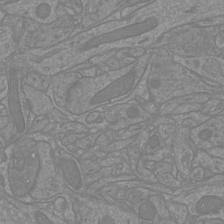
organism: Mouse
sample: Cortical neurons